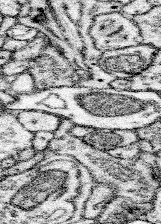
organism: Mouse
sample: Somatosensory cortex neuropil